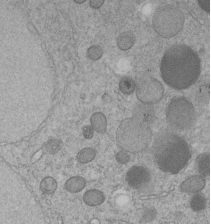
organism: C. elegans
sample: C. elegans embryo early stage